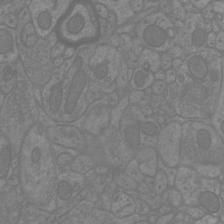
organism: Mouse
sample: Cortical neurons